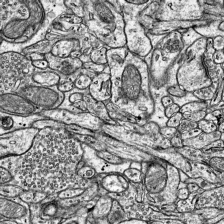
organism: Mouse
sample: Visual Cortex